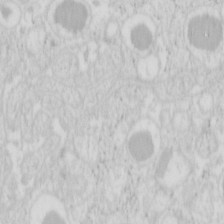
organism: Mouse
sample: Pancreas